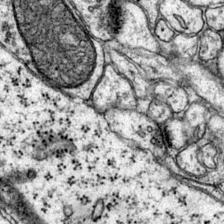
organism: Mouse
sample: Primary visual cortex